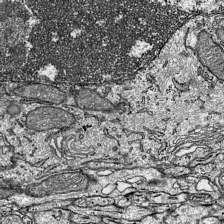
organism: Mouse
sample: Visual Cortex